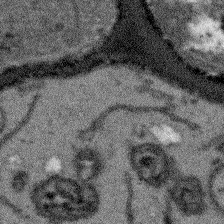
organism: Arabidopsis thaliana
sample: Root tip